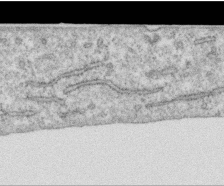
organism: Human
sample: Centriole in RPE cells